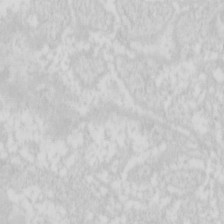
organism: Mouse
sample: Pancreas